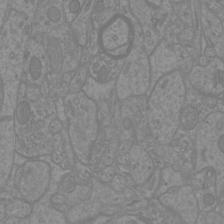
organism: Mouse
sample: Cortical neurons